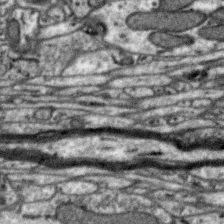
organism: Zebra finch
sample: Brain